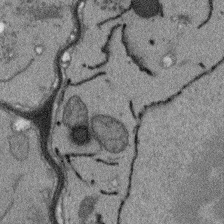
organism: Arabidopsis thaliana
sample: Root tip